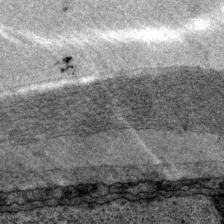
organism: P. pacificus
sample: Pharynx